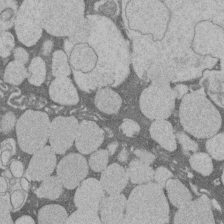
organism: Rat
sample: Salivary granule